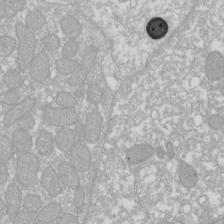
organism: Xenopus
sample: Cilia; centrioles in frog embryo cells